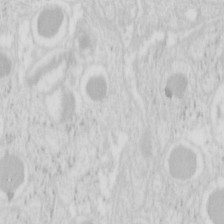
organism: Mouse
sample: Pancreas